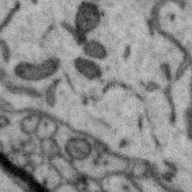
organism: Zebra finch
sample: Brain